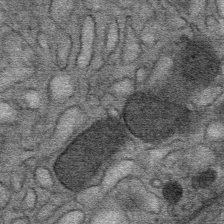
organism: Mouse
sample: Mouse Salivary gland